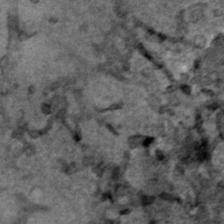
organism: Human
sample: Mitochondria in HCT116 cells